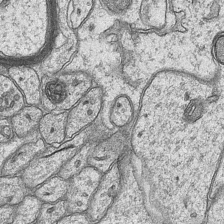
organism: Mouse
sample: CA1 Hippocampus